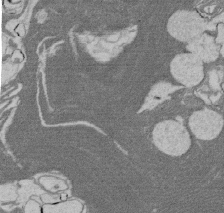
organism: Rat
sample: Salivary granule